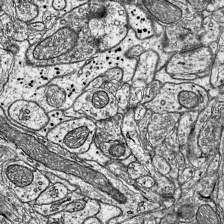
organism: Mouse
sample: Visual Cortex